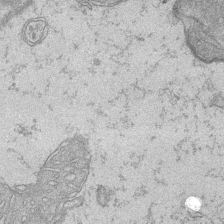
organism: Mouse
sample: CA1 Hippocampus